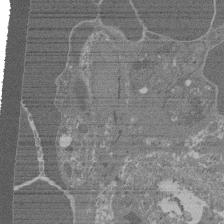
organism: Mouse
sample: Glomerulus